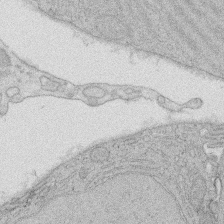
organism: Rat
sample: Salivary granule